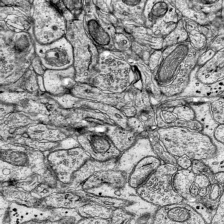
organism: Mouse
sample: Visual Cortex